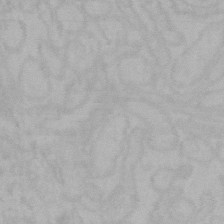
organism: Mouse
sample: Choroid plexus